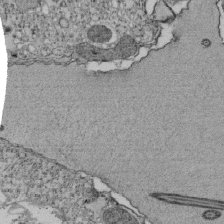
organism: Tetrahymena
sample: Cilia in tetrahymena